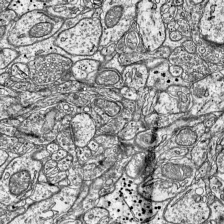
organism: Mouse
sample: Visual Cortex